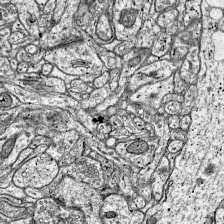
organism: Mouse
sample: Visual Cortex